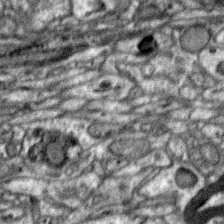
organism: Zebra finch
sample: Brain